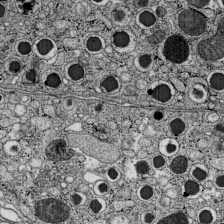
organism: C57BL Mouse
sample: Pancreatic islet